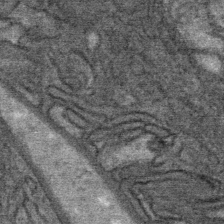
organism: Mouse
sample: Mouse Salivary gland